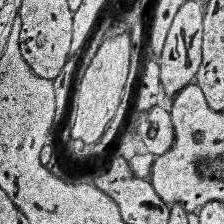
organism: Human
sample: Temporal Lobe